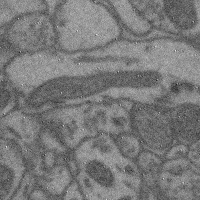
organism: Mouse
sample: Cerebral cortex